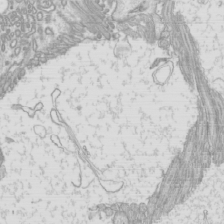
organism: Mouse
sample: Cilia; mouse epididymis